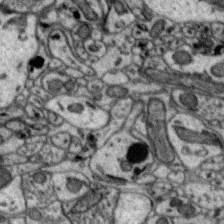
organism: Zebra finch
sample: Brain